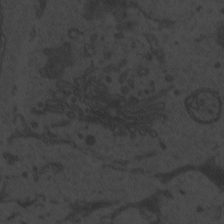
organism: Zebrafish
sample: Macrophage infected with Toxoplasma gondii